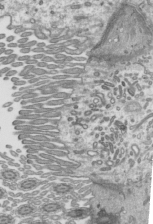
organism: Mouse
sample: Mouse epididymis efferent ductule cilia